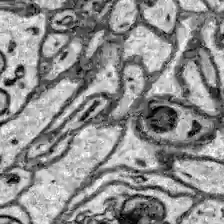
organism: Zebrafish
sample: Brain